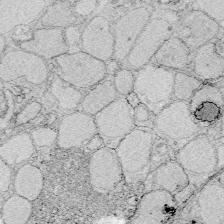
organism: Zebrafish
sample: Whole-Brain